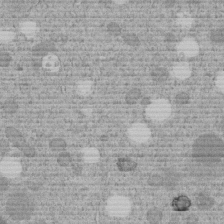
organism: C. elegans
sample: C. elegans embryo early stage